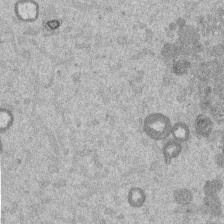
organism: Mouse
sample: Dividing mouse embryo 1 cell stage